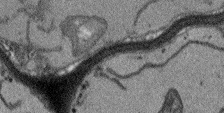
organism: Arabidopsis thaliana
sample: Root tip